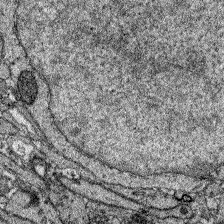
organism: Zebrafish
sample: Larval olfactory bulb